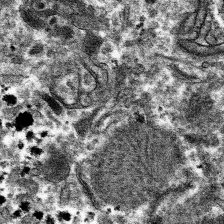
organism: Mouse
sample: Mouse hepatocytes